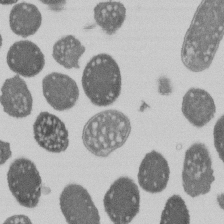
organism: E. coli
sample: Bacterial nucleoid